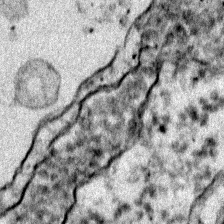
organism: Zebrafish